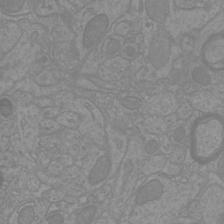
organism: Mouse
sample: Cortical neurons